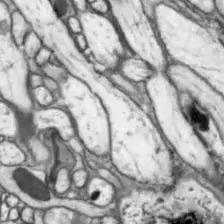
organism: Drosophila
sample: Optic lobe